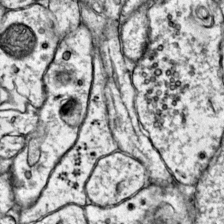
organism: Mouse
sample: Primary visual cortex